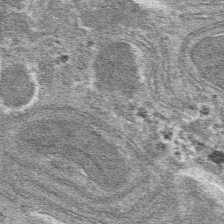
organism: Mouse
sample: Mouse hepatocytes